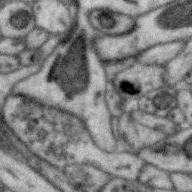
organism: Zebra finch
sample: Brain